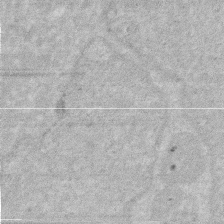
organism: Human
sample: HIV infected U937 cells